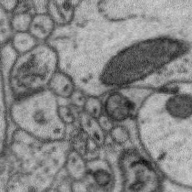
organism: Zebra finch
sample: Brain